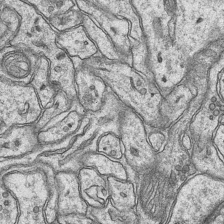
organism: Mouse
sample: CA1 Hippocampus